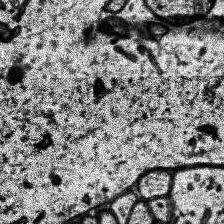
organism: Human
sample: Temporal Lobe